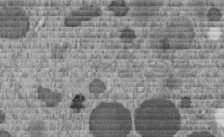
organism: C. elegans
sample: C. elegans embryo early stage